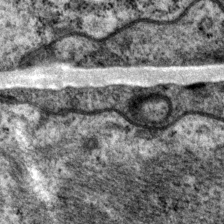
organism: P. pacificus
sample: Pharynx